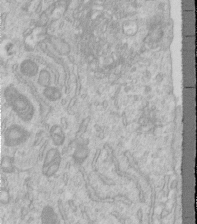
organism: Human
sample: Centriole in RPE cells